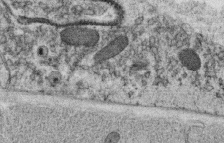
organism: C. elegans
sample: C. elegans oocyte; sperm cells